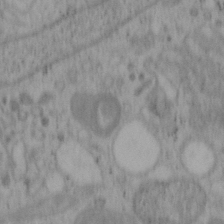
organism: Mouse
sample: OT-I killer T cells with ID8 ovarian cancer cells